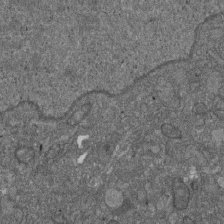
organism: Drosophila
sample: Nephrocyte